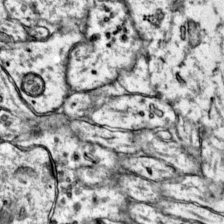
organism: Mouse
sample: Primary visual cortex